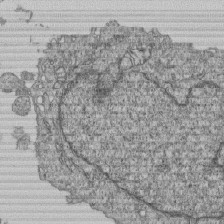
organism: Human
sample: MDA-MB-231 cells